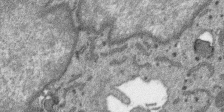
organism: Human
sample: Lung epithelial cells infected with SARS-CoV-2